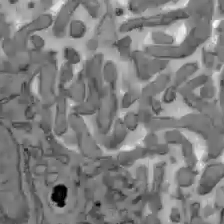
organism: C57BL Mouse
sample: Liver